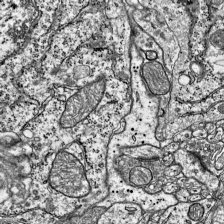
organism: Mouse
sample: Visual Cortex